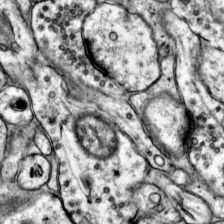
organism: Mouse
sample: Primary visual cortex